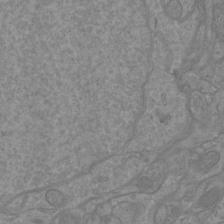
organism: Mouse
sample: Cortical neurons